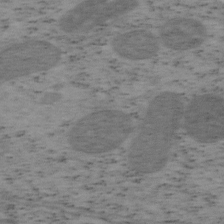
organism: Mouse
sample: OT-I killer T cells with ID8 ovarian cancer cells